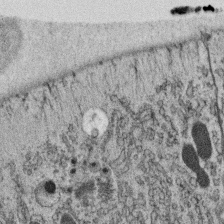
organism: C. elegans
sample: C. elegans oocyte; sperm cells